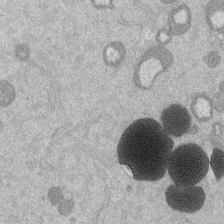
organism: Mouse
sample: Dividing mouse embryo 1 cell stage